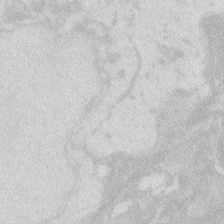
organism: Zebrafish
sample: Macrophage